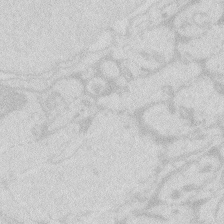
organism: Zebrafish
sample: Macrophage